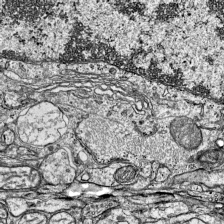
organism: Mouse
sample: Visual Cortex